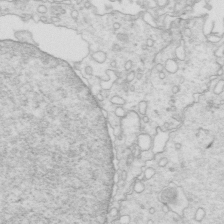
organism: Mouse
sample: Multiciliated cells